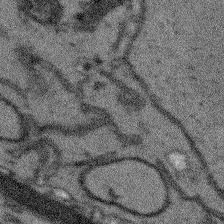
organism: Arabidopsis thaliana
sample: Root tip